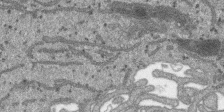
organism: Human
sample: Lung epithelial cells infected with SARS-CoV-2